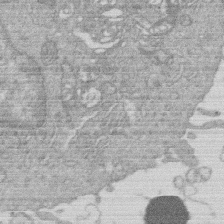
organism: Human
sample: Macrophage cells